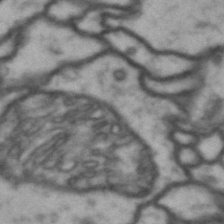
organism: Drosophila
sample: Brain